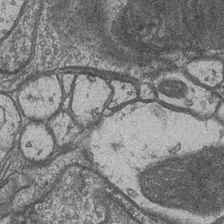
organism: Drosophila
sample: Optic medulla